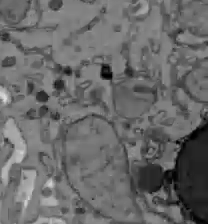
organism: C57BL Mouse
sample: Liver